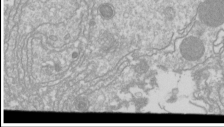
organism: Drosophila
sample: Cell division; meiosis; drosophila spermatocytes